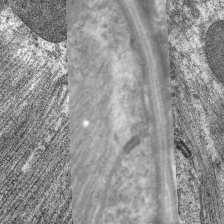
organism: C. elegans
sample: Pharynx